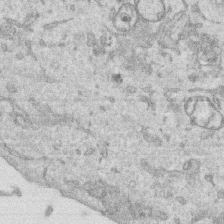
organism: Human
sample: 1205lu cells